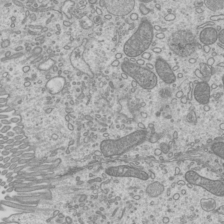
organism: Mouse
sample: Cilia; mouse epididymis